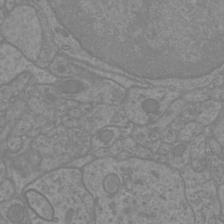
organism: Mouse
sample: Cortical neurons